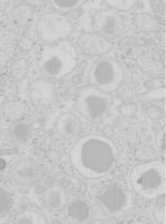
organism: Mouse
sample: Pancreas